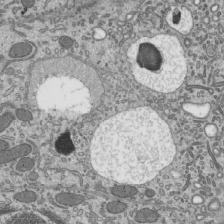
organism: Mouse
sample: Mouse epididymis efferent ductule cilia